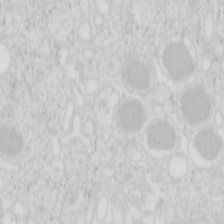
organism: Mouse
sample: Pancreas